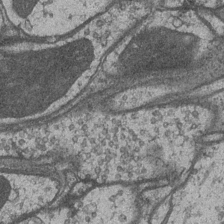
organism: Drosophila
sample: Optic medulla